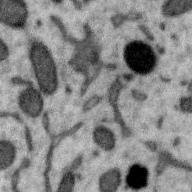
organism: Zebra finch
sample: Brain